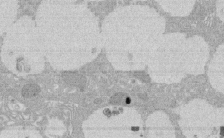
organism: Rat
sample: Salivary granule